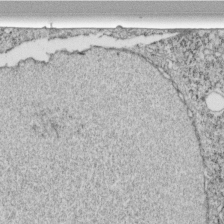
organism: C. elegans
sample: C. elegans embryo early stage